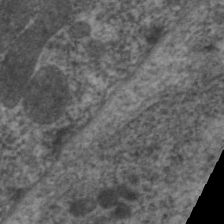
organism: C. elegans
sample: Pharynx